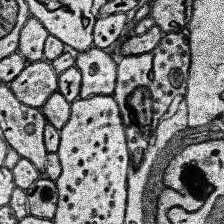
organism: Human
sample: Temporal Lobe